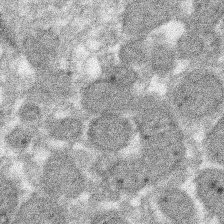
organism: Xenopus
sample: Cilia; centrioles in frog embryo cells